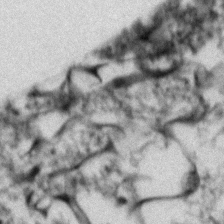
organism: Zebrafish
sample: Zebrafish embryo